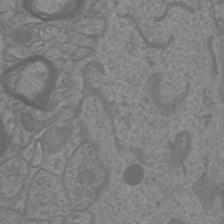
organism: Mouse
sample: Cortical neurons